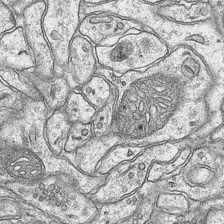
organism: Mouse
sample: CA1 Hippocampus